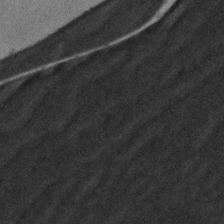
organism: Zebrafish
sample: Zebrafish embryo